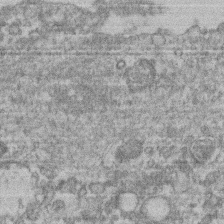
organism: Mouse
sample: T cell stromal cell synapse